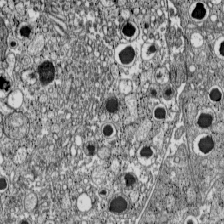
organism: C57BL Mouse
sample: Pancreatic islet